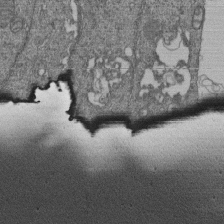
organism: Human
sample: Retinal organoid Rod and Cone cells